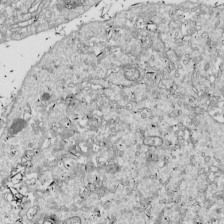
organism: Drosophila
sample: Cell division; meiosis; drosophila spermatocytes